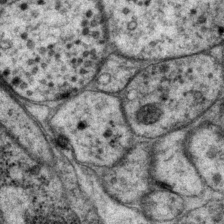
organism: P. pacificus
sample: Pharynx